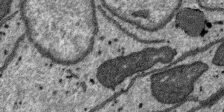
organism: Human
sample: Lung epithelial cells, uninfected (mock) control